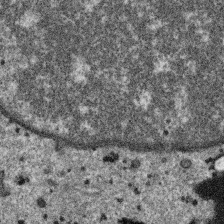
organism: Human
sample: Lung epithelial cells infected with SARS-CoV-2